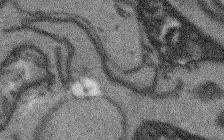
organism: Arabidopsis thaliana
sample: Root tip